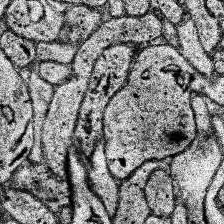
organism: Human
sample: Temporal Lobe